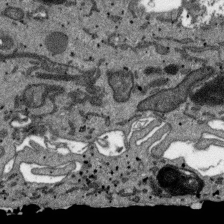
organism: Human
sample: Lung epithelial cells, uninfected (mock) control